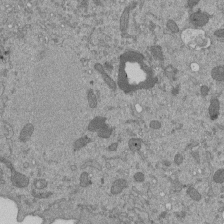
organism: Mouse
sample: ED-1 cell nuclei; centrioles